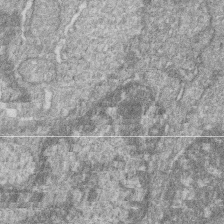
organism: Zebrafish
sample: Cilia; retinal pigment epithelium